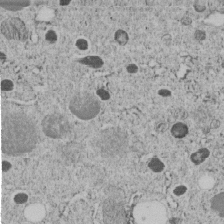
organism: C. elegans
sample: C. elegans embryo early stage